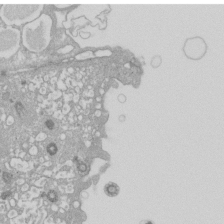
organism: Xenopus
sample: Cilia; centrioles in frog embryo cells